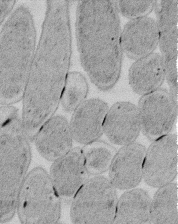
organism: E. coli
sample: Bacterial nucleoid